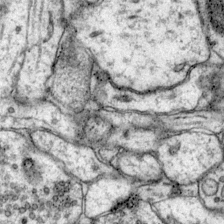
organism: Mouse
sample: Primary visual cortex